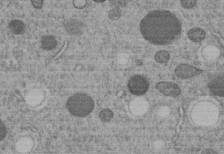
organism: C. elegans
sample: C. elegans embryo early stage